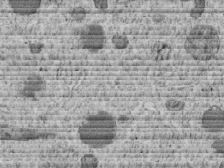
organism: C. elegans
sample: C. elegans embryo early stage